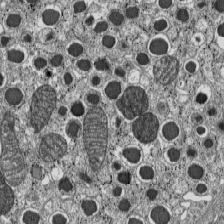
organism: C57BL Mouse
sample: Pancreatic islet